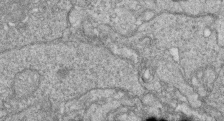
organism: Zebrafish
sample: Cilia; retinal pigment epithelium